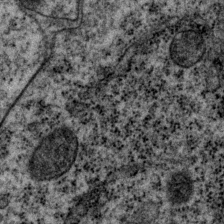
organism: P. pacificus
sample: Pharynx